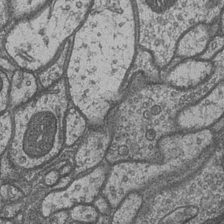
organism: Drosophila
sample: Optic medulla